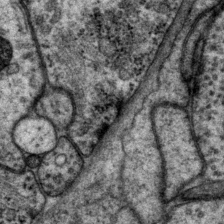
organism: P. pacificus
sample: Pharynx